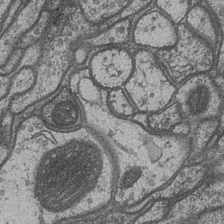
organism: Drosophila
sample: Optic medulla